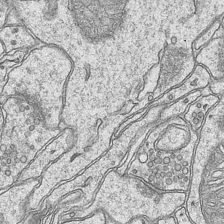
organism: Mouse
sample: CA1 Hippocampus